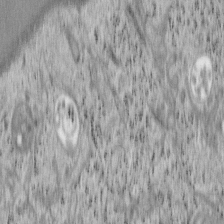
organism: Human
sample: HeLa cells